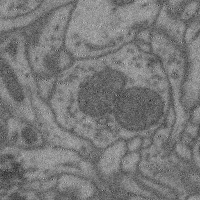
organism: Mouse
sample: Cerebral cortex